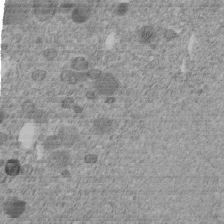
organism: C. elegans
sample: C. elegans embryo early stage